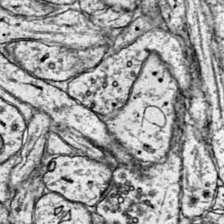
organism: Mouse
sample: Primary visual cortex